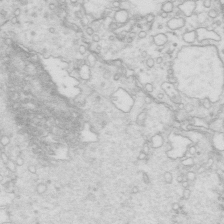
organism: Mouse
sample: Multiciliated cells